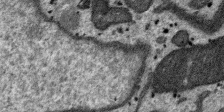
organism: Human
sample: Lung epithelial cells, uninfected (mock) control